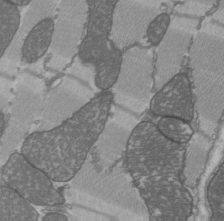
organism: C57BL Mouse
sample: Heart